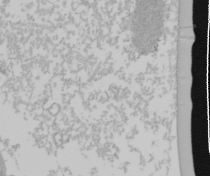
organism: Mouse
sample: Cancer cell death in ED-1 cells